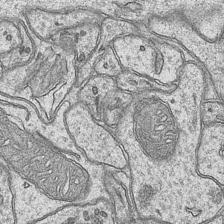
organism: Mouse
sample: CA1 Hippocampus